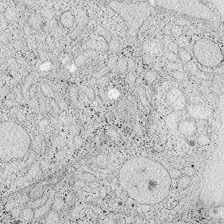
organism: Zebrafish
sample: Whole-Brain